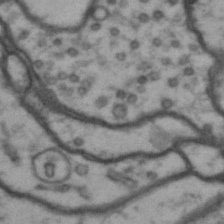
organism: Drosophila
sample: Brain